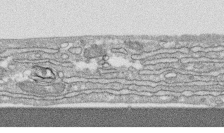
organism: Human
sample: CRL-1474